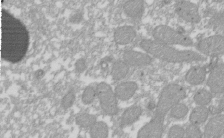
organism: Xenopus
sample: Cilia; centrioles in frog embryo cells